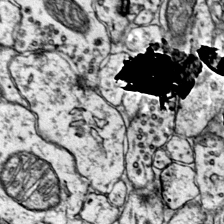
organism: Mouse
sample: Primary visual cortex